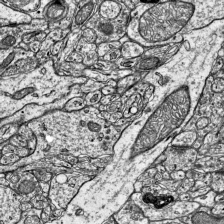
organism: Mouse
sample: Visual Cortex